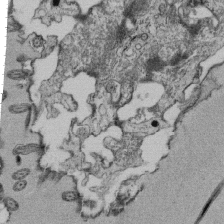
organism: Tetrahymena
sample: Cilia in tetrahymena